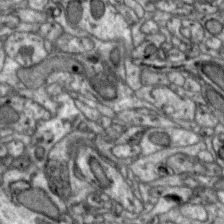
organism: Zebra finch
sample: Brain